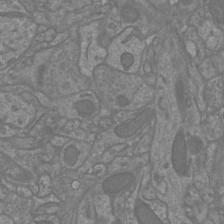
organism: Mouse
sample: Cortical neurons